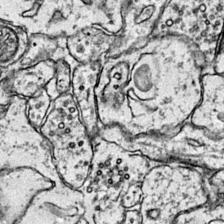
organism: Mouse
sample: Primary visual cortex